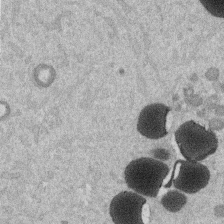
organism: Mouse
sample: Dividing mouse embryo 1 cell stage